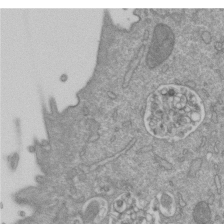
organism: Mouse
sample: ED-1 cell nuclei; centrioles